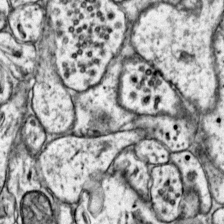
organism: Mouse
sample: Primary visual cortex